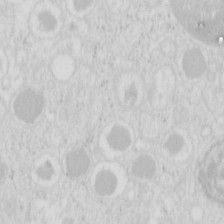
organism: Mouse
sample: Pancreas